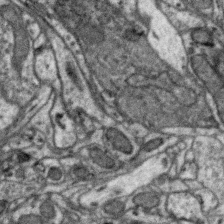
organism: Zebra finch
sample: Brain